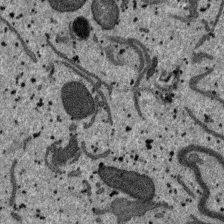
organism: Human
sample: Lung epithelial cells, uninfected (mock) control